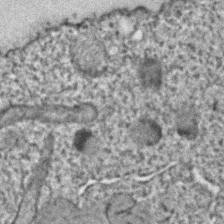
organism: C. elegans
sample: C. elegans embryo